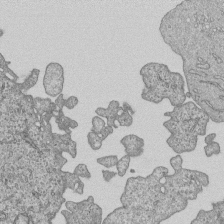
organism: Human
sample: MDA-MB-231 cells